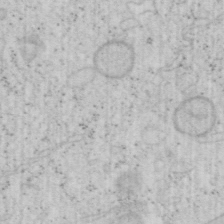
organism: Human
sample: HeLa cells